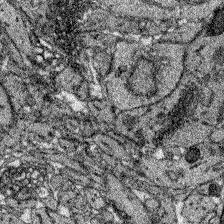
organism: Zebrafish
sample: Larval olfactory bulb